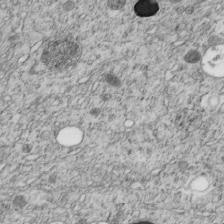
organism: C. elegans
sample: C. elegans embryo early stage